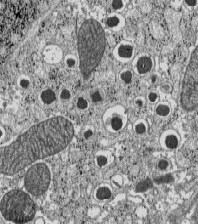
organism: C57BL Mouse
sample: Pancreatic islet